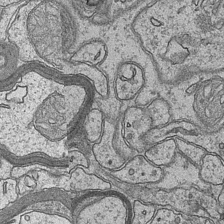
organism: Mouse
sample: CA1 Hippocampus